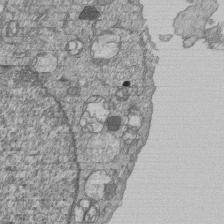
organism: Human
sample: MDA-MB-231 cells